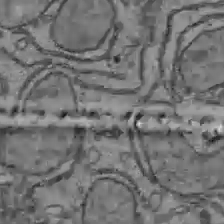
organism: C57BL Mouse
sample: Liver